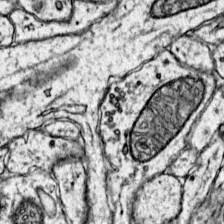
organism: Mouse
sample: Primary visual cortex